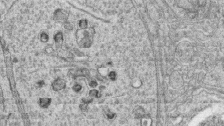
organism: Zebrafish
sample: synaptic ribbons in rod cells and cone cells